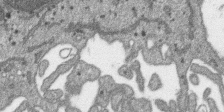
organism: Human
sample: Lung epithelial cells infected with SARS-CoV-2